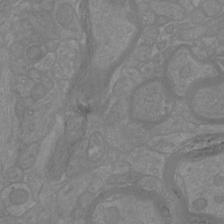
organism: Mouse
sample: Cortical neurons